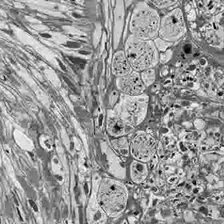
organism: Drosophila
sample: Optic lobe